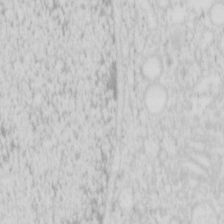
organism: Mouse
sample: Pancreas